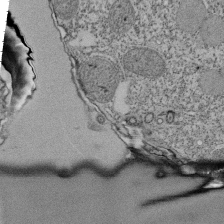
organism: Tetrahymena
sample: Cilia in tetrahymena